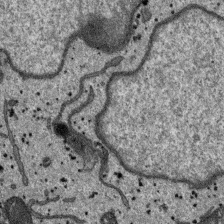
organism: Human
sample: Lung epithelial cells, uninfected (mock) control